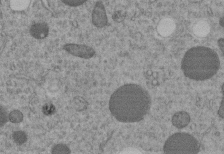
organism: C. elegans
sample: C. elegans embryo early stage